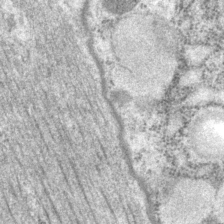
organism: P. pacificus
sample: Pharynx